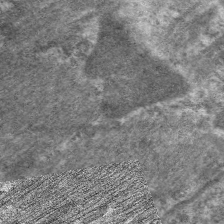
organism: C. elegans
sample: Pharynx